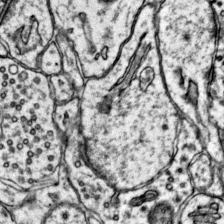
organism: Mouse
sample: Primary visual cortex